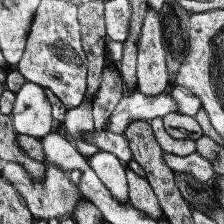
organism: Human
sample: Temporal Lobe